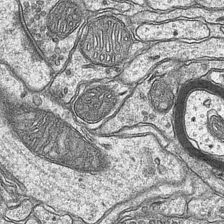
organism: Mouse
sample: CA1 Hippocampus